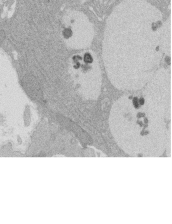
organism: Rat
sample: Salivary granule